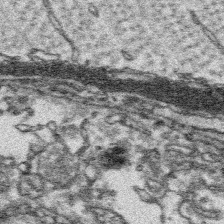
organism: Platynereis dumerilii